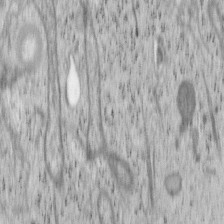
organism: Human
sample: HeLa cells